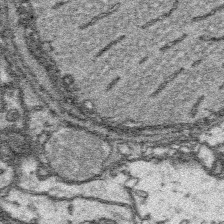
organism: Platynereis dumerilii